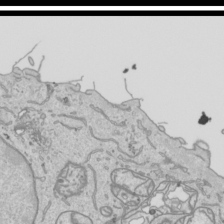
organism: Human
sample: Mitochondria in HCT116 cells